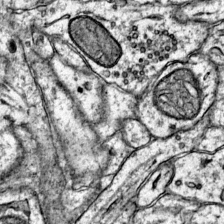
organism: Mouse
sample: Primary visual cortex